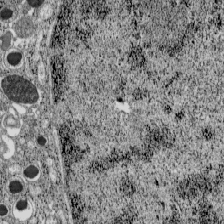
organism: C57BL Mouse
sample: Pancreatic islet